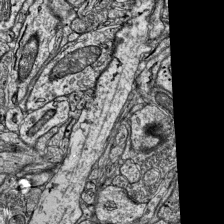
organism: Mouse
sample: Visual Cortex